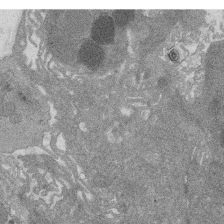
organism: Rat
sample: Salivary granule